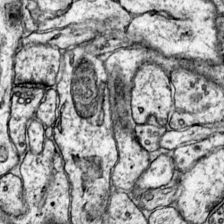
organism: Mouse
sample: Primary visual cortex